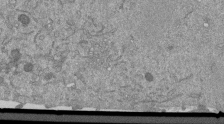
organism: Mouse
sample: ED-1 cell nuclei; centrioles